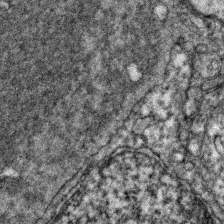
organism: Zebrafish